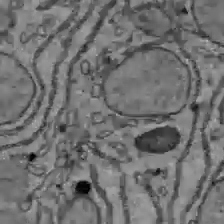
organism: C57BL Mouse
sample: Liver